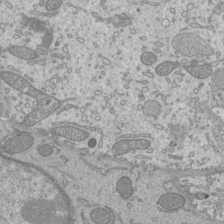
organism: Mouse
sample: Cilia; mouse epididymis